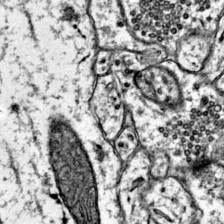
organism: Mouse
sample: Primary visual cortex